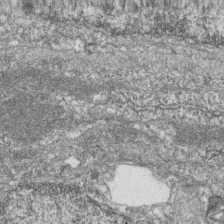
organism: Zebrafish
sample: Cilia; retinal pigment epithelium